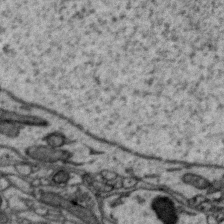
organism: Zebra finch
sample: Brain